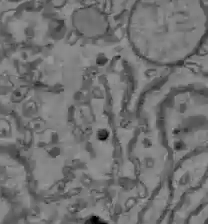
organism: C57BL Mouse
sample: Liver